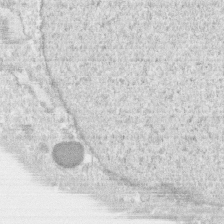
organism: Human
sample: CRL-1474